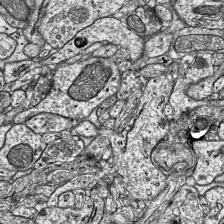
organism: Mouse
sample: Visual Cortex